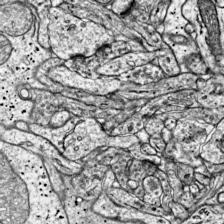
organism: Mouse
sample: Visual Cortex